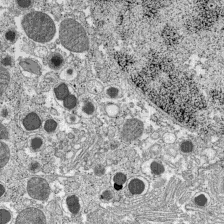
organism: C57BL Mouse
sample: Pancreatic islet